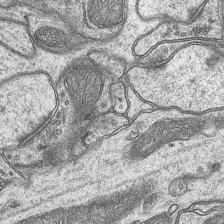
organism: Mouse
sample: CA1 Hippocampus